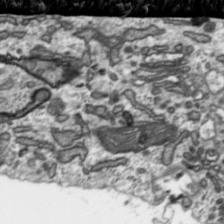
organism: Toxoplasma gondii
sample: Parasites in a vacuole inside a host cell